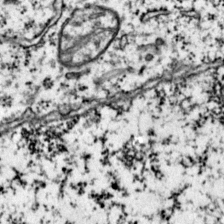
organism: Mouse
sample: Primary visual cortex